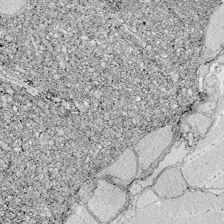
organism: Zebrafish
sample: Whole-Brain